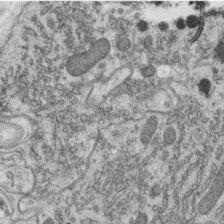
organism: C. elegans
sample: C. elegans oocyte; sperm cells